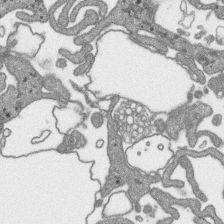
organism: Human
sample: Lung epithelial cells infected with SARS-CoV-2